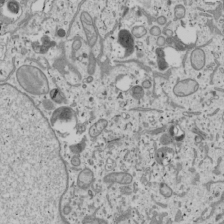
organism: Human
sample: Mitochondria in U2OS cells